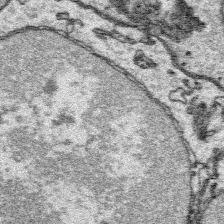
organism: Platynereis dumerilii